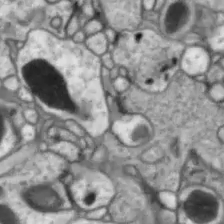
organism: Drosophila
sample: Optic lobe